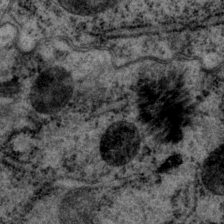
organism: P. pacificus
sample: Pharynx